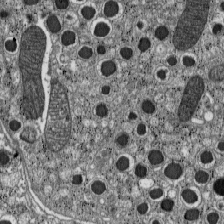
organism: C57BL Mouse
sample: Pancreatic islet